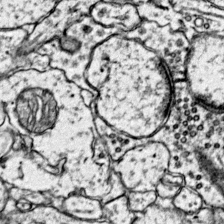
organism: Mouse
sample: Primary visual cortex